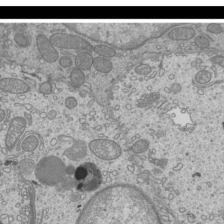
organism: Mouse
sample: Cilia; mouse epididymis